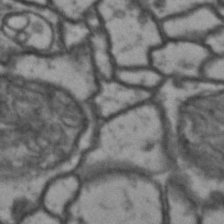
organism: Drosophila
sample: Brain